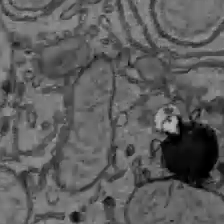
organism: C57BL Mouse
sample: Liver